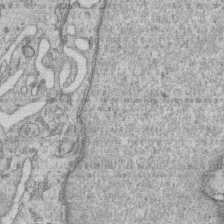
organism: Human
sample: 1205lu cells